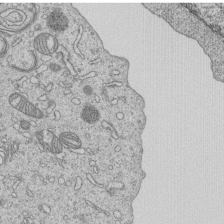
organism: Human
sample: MDA-MB-231 cells